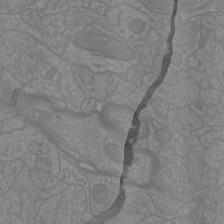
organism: Mouse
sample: Cortical neurons